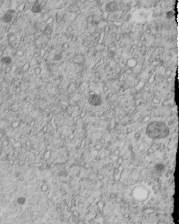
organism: C. elegans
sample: C. elegans embryo early stage